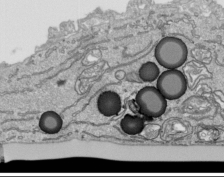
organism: Human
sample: Mitochondria in HCT116 cells